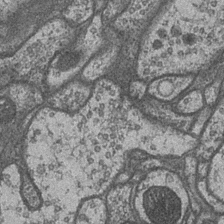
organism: Drosophila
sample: Optic medulla